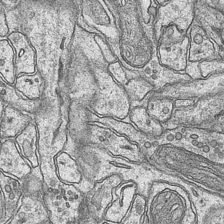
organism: Mouse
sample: CA1 Hippocampus